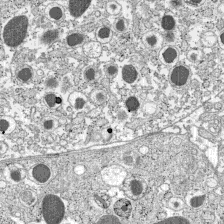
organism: C57BL Mouse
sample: Pancreatic islet